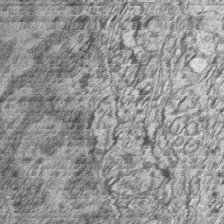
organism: Zebrafish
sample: synaptic ribbons in rod cells and cone cells